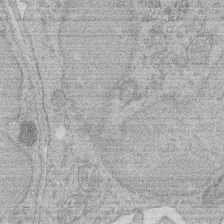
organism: Rat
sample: Salivary granule